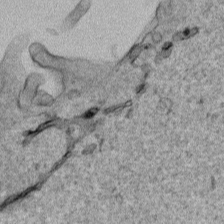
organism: Human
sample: Mitochondria in HCT116 cells